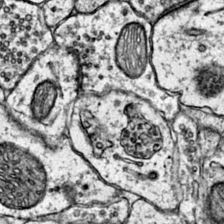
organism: Mouse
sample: Primary visual cortex